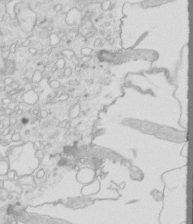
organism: Mouse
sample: Multiciliated cells